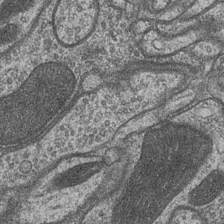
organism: Drosophila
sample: Optic medulla